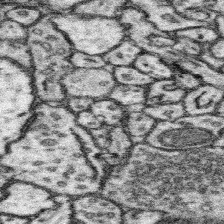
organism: Mouse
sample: Somatosensory cortex neuropil